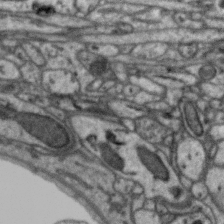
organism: Zebra finch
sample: Brain